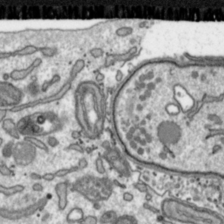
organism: Toxoplasma gondii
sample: Parasites in a vacuole inside a host cell